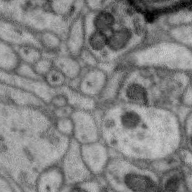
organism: Zebra finch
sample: Brain